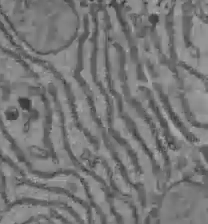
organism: C57BL Mouse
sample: Liver